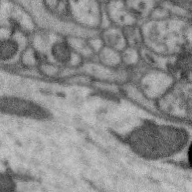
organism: Zebra finch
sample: Brain